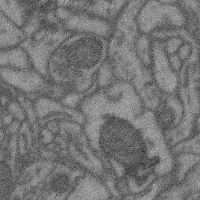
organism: Mouse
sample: Cerebral cortex